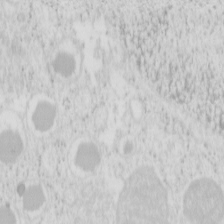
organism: Mouse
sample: Pancreas